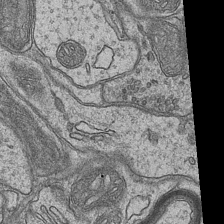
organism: Mouse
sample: CA1 Hippocampus